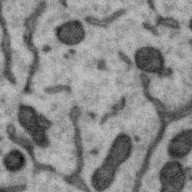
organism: Zebra finch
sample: Brain